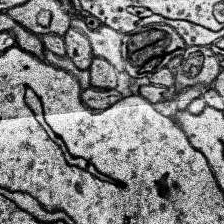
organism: Human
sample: Temporal Lobe